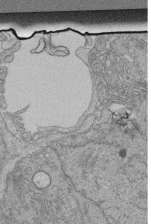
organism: Human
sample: Retinal organoid Rod and Cone cells